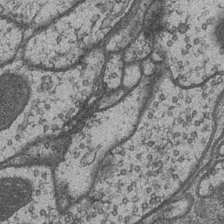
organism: Drosophila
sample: Optic medulla